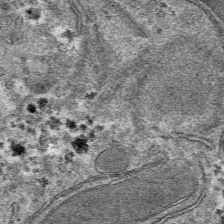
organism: Mouse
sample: Mouse hepatocytes